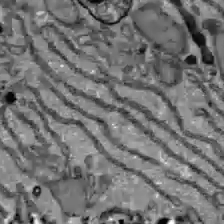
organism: C57BL Mouse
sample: Liver